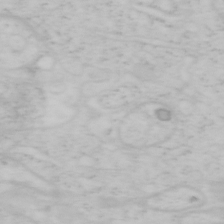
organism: Mouse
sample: OT-I killer T cells with ID8 ovarian cancer cells